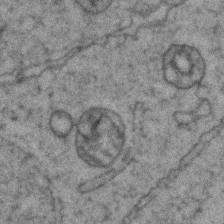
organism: Zebrafish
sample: Zebrafish embryo